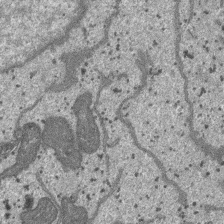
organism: Human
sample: Lung epithelial cells infected with SARS-CoV-2